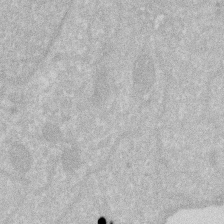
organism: Human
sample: HIV infected U937 cells